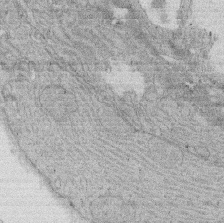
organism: Rat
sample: Salivary granule